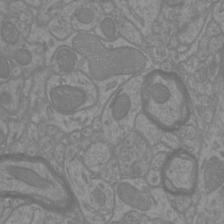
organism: Mouse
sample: Cortical neurons